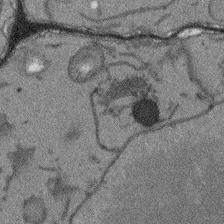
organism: Arabidopsis thaliana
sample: Root tip